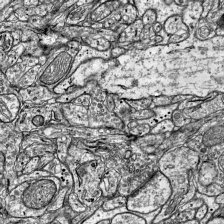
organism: Mouse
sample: Visual Cortex